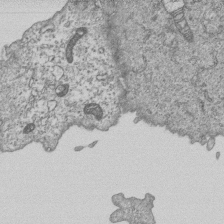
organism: Human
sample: MDA-MB-231 cells